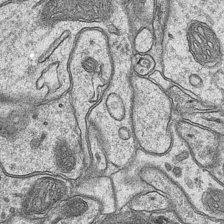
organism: Mouse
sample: CA1 Hippocampus